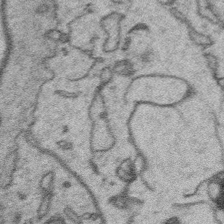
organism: Platynereis dumerilii